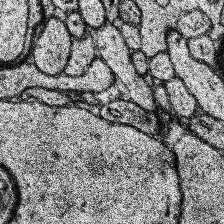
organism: Human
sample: Temporal Lobe